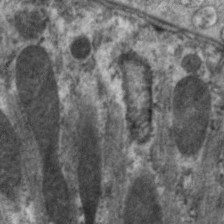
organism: C. elegans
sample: Pharynx